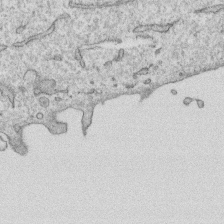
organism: Human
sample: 1205lu cells